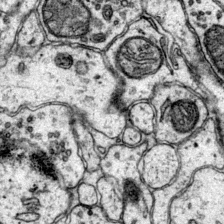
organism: Mouse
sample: Primary visual cortex